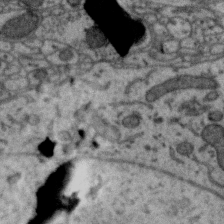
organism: Zebra finch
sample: Brain